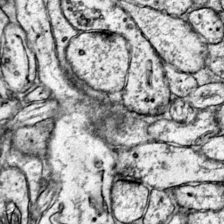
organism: Mouse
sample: Primary visual cortex